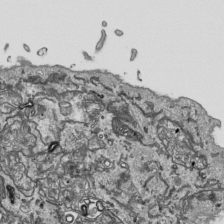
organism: Human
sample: Mitochondria in HCT116 cells